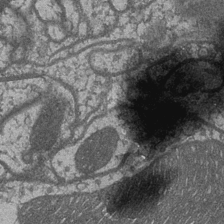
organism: Drosophila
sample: Optic medulla